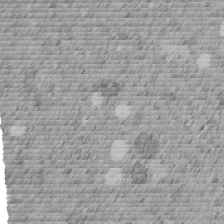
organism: C. elegans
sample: C. elegans embryo early stage